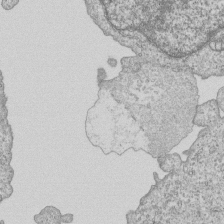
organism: Human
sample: MDA-MB-231 cells